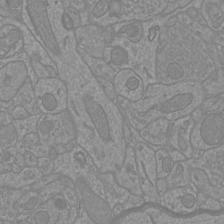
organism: Mouse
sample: Cortical neurons